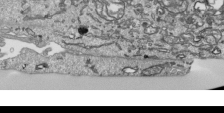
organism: Human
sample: Mitochondria in HCT116 cells